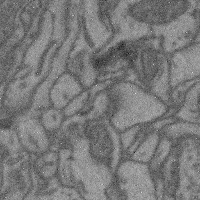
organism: Mouse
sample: Cerebral cortex